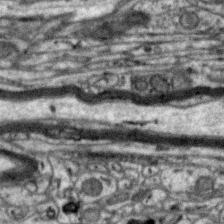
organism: Zebra finch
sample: Brain